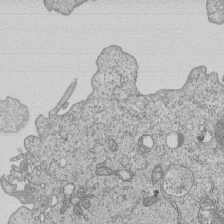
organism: Human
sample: MDA-MB-231 cells